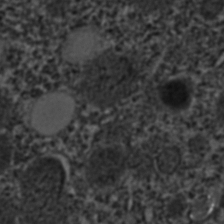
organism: C. elegans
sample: C. elegans embryo